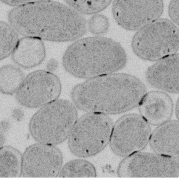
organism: E. coli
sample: Bacterial nucleoid